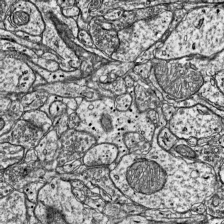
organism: Mouse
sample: Visual Cortex